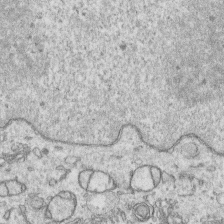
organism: Human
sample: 1205lu cells